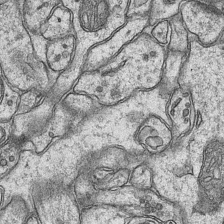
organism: Mouse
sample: CA1 Hippocampus